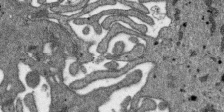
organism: Human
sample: Lung epithelial cells, uninfected (mock) control